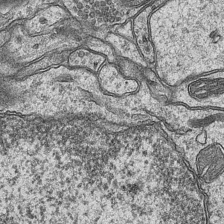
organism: Mouse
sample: CA1 Hippocampus